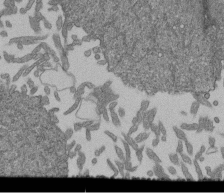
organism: Human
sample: Retinal organoid Rod and Cone cells